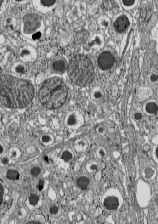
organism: C57BL Mouse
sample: Pancreatic islet